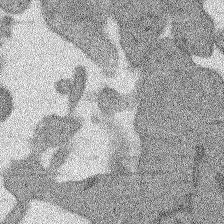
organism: Human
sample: HeLa cells